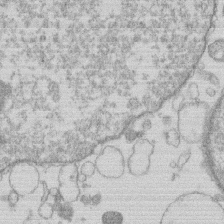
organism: Human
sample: Macrophage cells